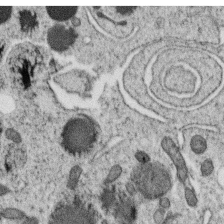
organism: C. elegans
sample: C. elegans oocyte; sperm cells